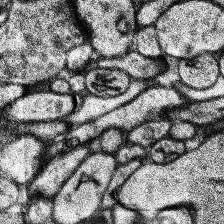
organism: Human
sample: Temporal Lobe